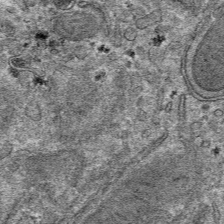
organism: Mouse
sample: Mouse hepatocytes